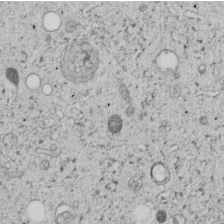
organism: C. elegans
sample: C. elegans embryo early stage